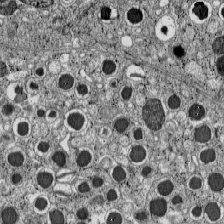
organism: C57BL Mouse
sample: Pancreatic islet